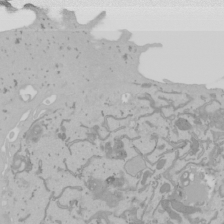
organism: Mouse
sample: Cancer cell death in ED-1 cells